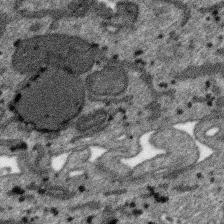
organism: Human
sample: Lung epithelial cells infected with SARS-CoV-2